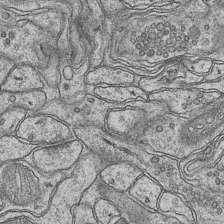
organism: Mouse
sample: CA1 Hippocampus